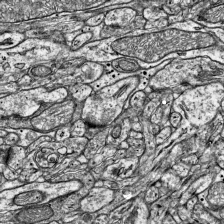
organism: Mouse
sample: Visual Cortex